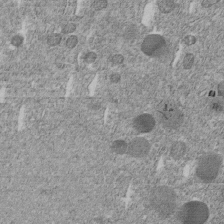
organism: C. elegans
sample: C. elegans embryo early stage